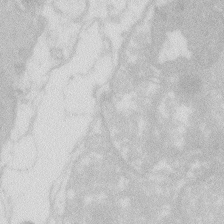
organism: Zebrafish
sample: Macrophage